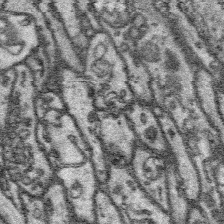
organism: Platynereis dumerilii